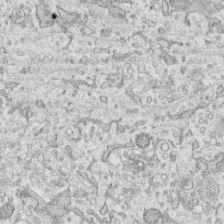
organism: Human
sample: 1205lu cells